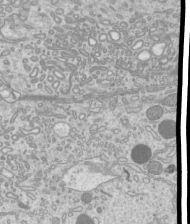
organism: Mouse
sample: Cilia; mouse epididymis